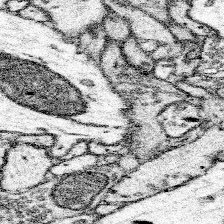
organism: Mouse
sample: Somatosensory cortex neuropil